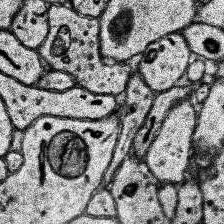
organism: Human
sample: Temporal Lobe